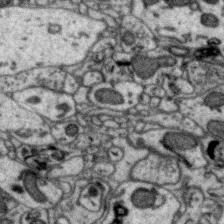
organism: Zebra finch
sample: Brain